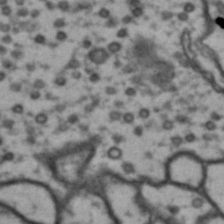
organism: Drosophila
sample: Brain